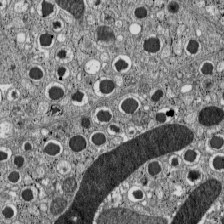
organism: C57BL Mouse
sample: Pancreatic islet